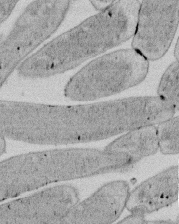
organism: E. coli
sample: Bacterial nucleoid